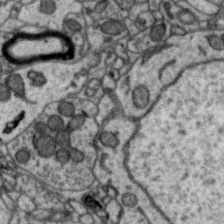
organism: Zebra finch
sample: Brain